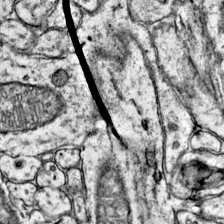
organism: Mouse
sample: Primary visual cortex